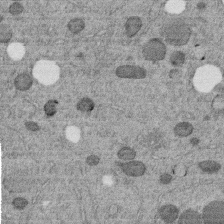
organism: C. elegans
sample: C. elegans embryo early stage